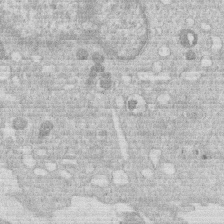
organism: Human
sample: Macrophage cells